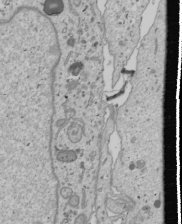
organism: Human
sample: Mitochondria in U2OS cells